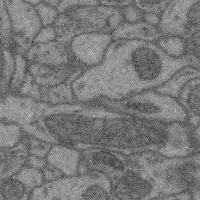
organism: Mouse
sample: Cerebral cortex